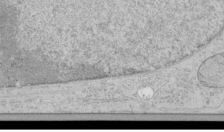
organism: Human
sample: Mitochondria in HCT116 cells